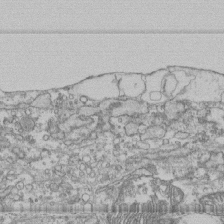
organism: Human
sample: Fibroblast cells